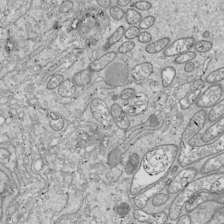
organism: Drosophila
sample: Cell division; meiosis; drosophila spermatocytes